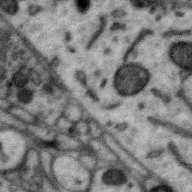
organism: Zebra finch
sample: Brain